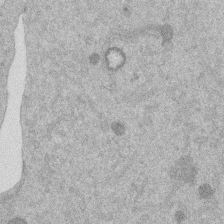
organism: Mouse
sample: Dividing mouse embryo 1 cell stage